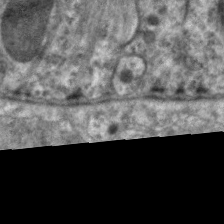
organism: C. elegans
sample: Pharynx